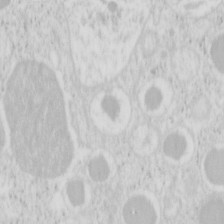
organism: Mouse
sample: Pancreas